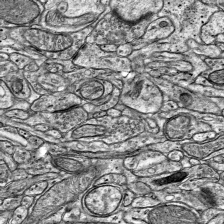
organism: Mouse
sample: Visual Cortex